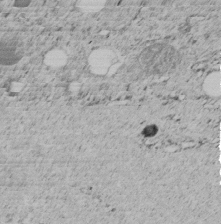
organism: C. elegans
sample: C. elegans embryo early stage